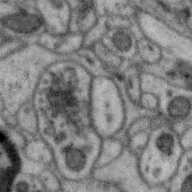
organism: Zebra finch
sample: Brain